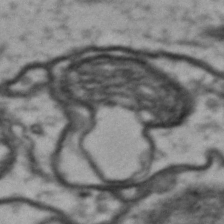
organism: Drosophila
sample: Brain